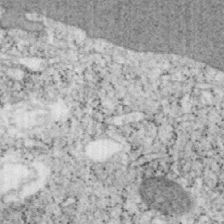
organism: Mouse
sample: OT-I killer T cells with ID8 ovarian cancer cells